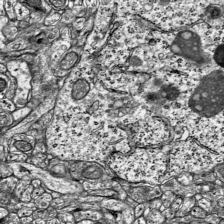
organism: Mouse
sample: Visual Cortex